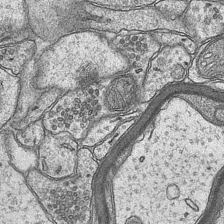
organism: Mouse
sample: CA1 Hippocampus